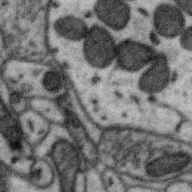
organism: Zebra finch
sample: Brain